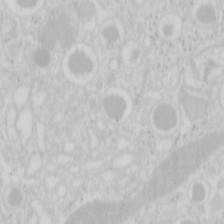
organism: Mouse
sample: Pancreas